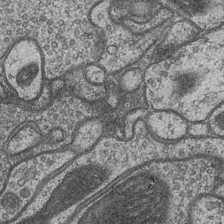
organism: Drosophila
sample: Optic medulla